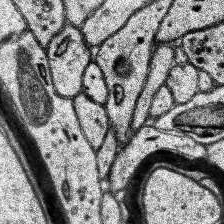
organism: Human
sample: Temporal Lobe